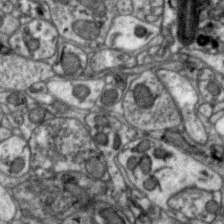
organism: Zebra finch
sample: Brain